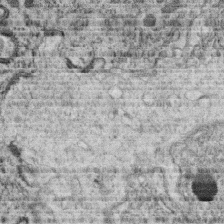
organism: C. elegans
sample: C. elegans oocyte; sperm cells